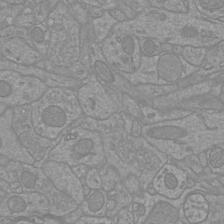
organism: Mouse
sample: Cortical neurons